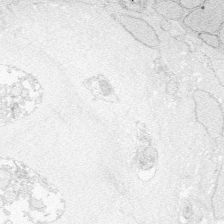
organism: Zebrafish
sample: Whole-Brain